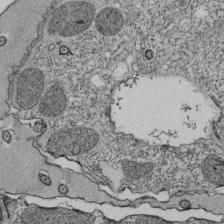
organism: Tetrahymena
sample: Cilia in tetrahymena